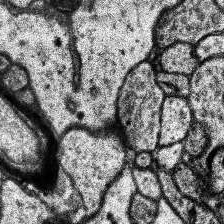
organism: Human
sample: Temporal Lobe